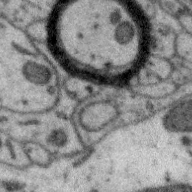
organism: Zebra finch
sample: Brain